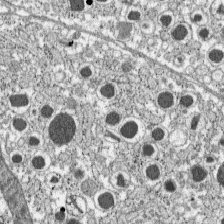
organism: C57BL Mouse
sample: Pancreatic islet